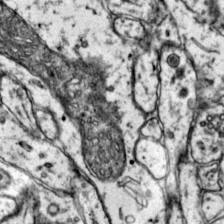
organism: Mouse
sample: Primary visual cortex